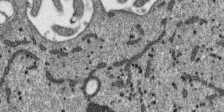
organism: Human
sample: Lung epithelial cells infected with SARS-CoV-2